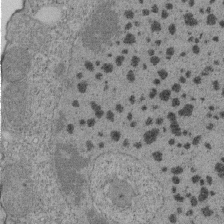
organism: Tetrahymena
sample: Cilia in tetrahymena